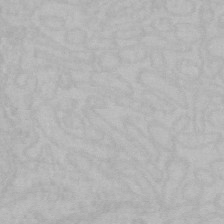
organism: Mouse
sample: Choroid plexus